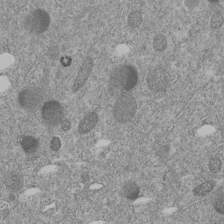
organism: C. elegans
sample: C. elegans embryo early stage